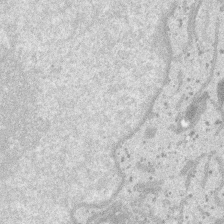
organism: Human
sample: Lung epithelial cells infected with SARS-CoV-2